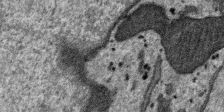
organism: Human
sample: Lung epithelial cells, uninfected (mock) control